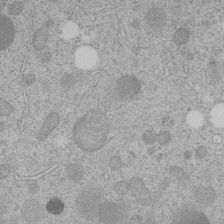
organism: C. elegans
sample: C. elegans embryo early stage